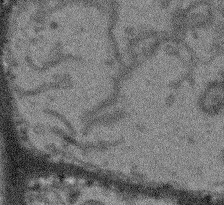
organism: Arabidopsis thaliana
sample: Root tip